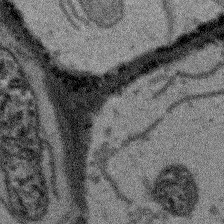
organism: Arabidopsis thaliana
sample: Root tip